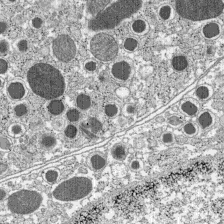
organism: C57BL Mouse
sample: Pancreatic islet